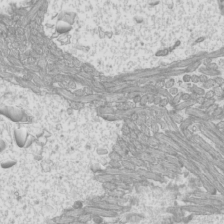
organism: Mouse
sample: Cilia; mouse epididymis